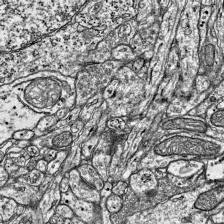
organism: Mouse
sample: Visual Cortex